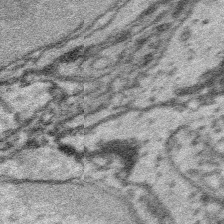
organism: Platynereis dumerilii